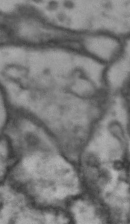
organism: Drosophila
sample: Brain